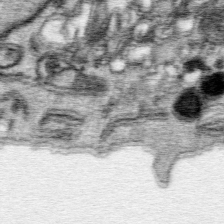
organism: Human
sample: HeLa cells